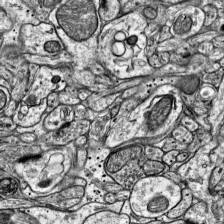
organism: Mouse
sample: Visual Cortex